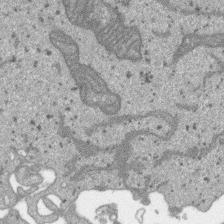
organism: Human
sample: Lung epithelial cells infected with SARS-CoV-2